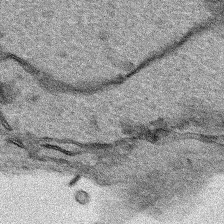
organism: Human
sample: Mitochondria in HCT116 cells